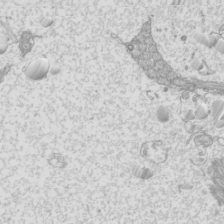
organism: Mouse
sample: Cilia; mouse epididymis